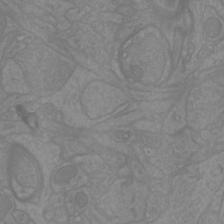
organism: Mouse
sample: Cortical neurons